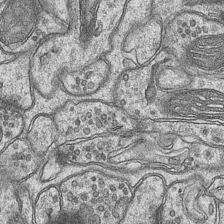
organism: Mouse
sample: CA1 Hippocampus